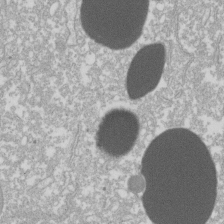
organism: Xenopus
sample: Cilia; centrioles in frog embryo cells